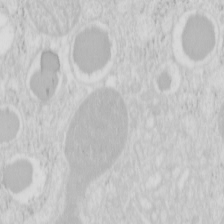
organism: Mouse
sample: Pancreas